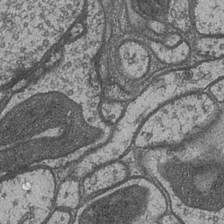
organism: Drosophila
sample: Optic medulla